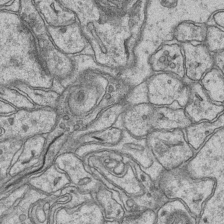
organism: Mouse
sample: CA1 Hippocampus